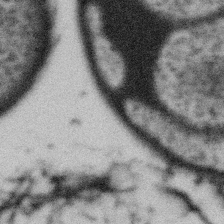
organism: Gemmata obscuriglobus